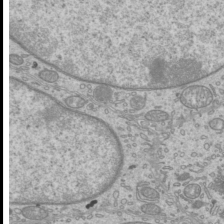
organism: Mouse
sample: Cilia; mouse epididymis